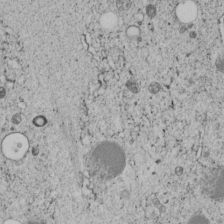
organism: C. elegans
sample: C. elegans embryo early stage